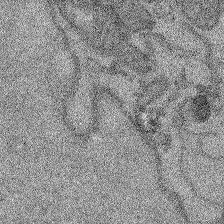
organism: Human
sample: HeLa cells